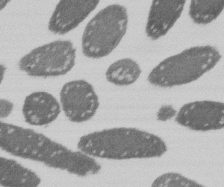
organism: E. coli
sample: Bacterial nucleoid